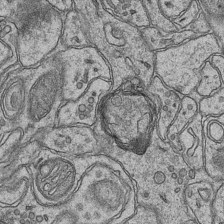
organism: Mouse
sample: CA1 Hippocampus